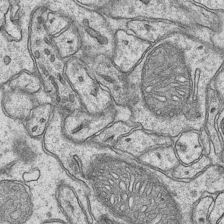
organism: Mouse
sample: CA1 Hippocampus